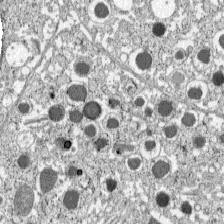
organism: C57BL Mouse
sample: Pancreatic islet